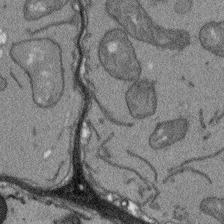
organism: Arabidopsis thaliana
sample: Root tip